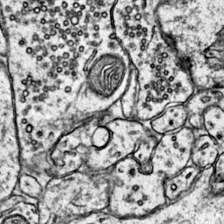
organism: Mouse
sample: Primary visual cortex